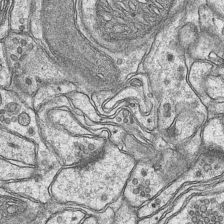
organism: Mouse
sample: CA1 Hippocampus